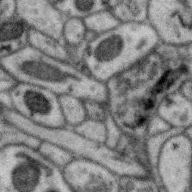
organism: Zebra finch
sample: Brain